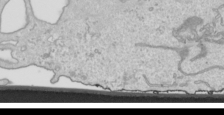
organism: Human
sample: Mitochondria in HCT116 cells